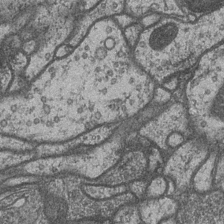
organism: Drosophila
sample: Optic medulla